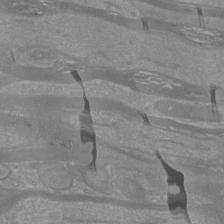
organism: Mouse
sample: Cortical neurons